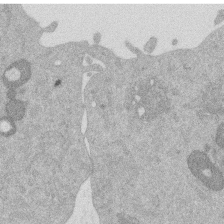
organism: Mouse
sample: Dividing mouse embryo 1 cell stage